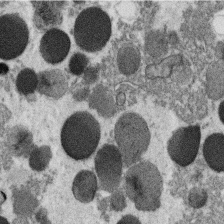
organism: C. elegans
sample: C. elegans oocyte; sperm cells